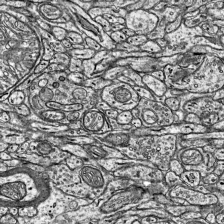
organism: Mouse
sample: Visual Cortex